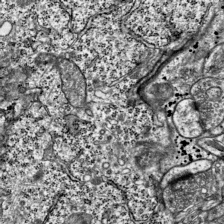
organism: Mouse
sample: Visual Cortex